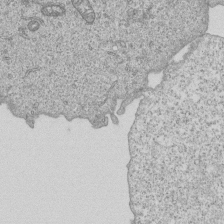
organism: Human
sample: MDA-MB-231 cells